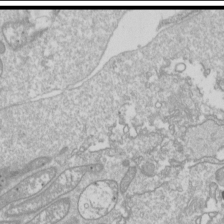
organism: Drosophila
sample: Cell division; meiosis; drosophila spermatocytes